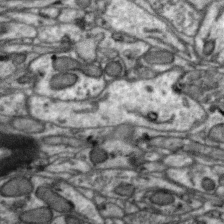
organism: Zebra finch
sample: Brain